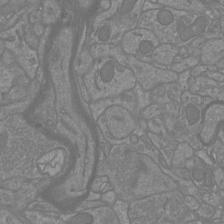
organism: Mouse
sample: Cortical neurons